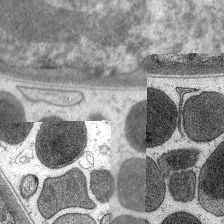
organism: C. elegans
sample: Pharynx